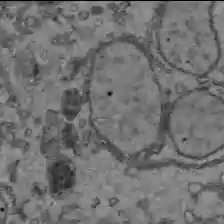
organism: C57BL Mouse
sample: Liver